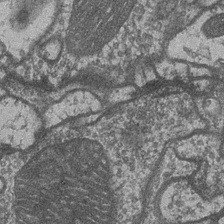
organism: Drosophila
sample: Optic medulla